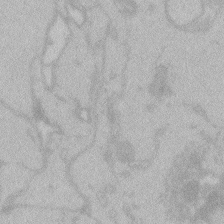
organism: Zebrafish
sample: Macrophage infected with Toxoplasma gondii